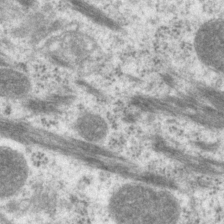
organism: P. pacificus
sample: Pharynx